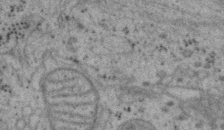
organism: Human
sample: HeLa cells